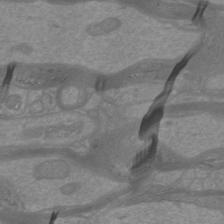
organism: Mouse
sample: Cortical neurons